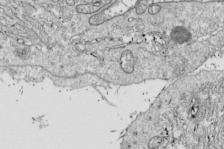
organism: Drosophila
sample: Cell division; meiosis; drosophila spermatocytes